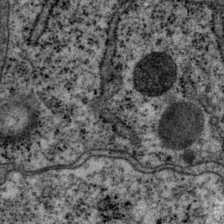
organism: P. pacificus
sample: Pharynx